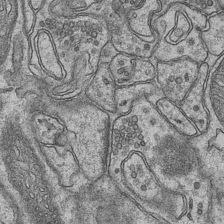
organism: Mouse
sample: CA1 Hippocampus